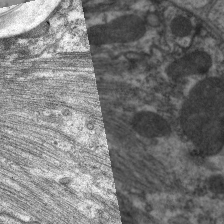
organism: C. elegans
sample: Pharynx